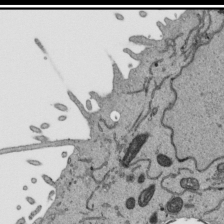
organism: Human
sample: Mitochondria in HCT116 cells